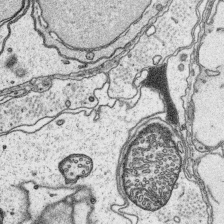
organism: Platynereis dumerilii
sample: Parapodia